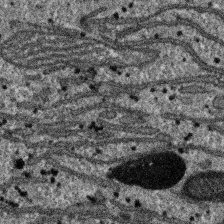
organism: Human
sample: Lung epithelial cells infected with SARS-CoV-2